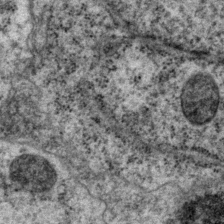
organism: P. pacificus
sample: Pharynx